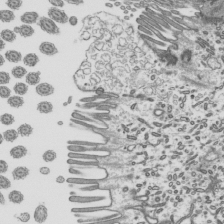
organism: Mouse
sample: Mouse epididymis efferent ductule cilia